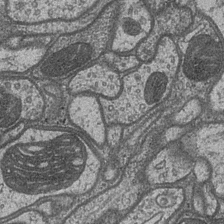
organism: Drosophila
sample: Optic medulla